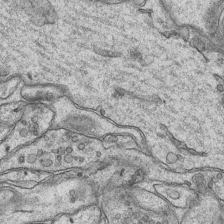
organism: Mouse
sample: CA1 Hippocampus